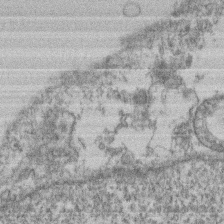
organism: Mouse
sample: T cell stromal cell synapse